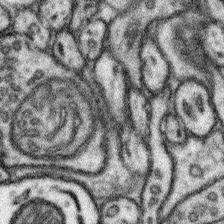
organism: Mouse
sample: Somatosensory cortex neuropil